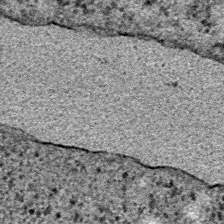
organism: E. coli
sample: E. Coli Bacteria